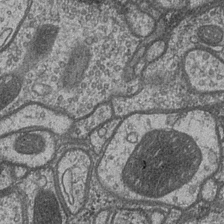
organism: Drosophila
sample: Optic medulla